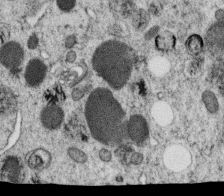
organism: C. elegans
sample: C. elegans oocyte; sperm cells